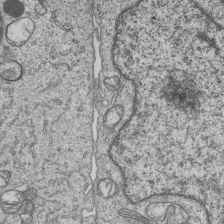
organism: Human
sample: MDA-MB-231 cells